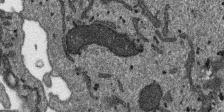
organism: Human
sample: Lung epithelial cells infected with SARS-CoV-2